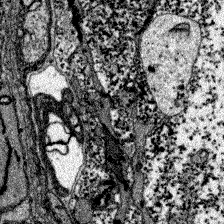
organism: Zebrafish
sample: Larval olfactory bulb